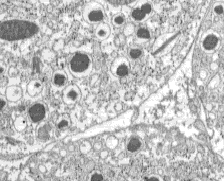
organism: C57BL Mouse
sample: Pancreatic islet